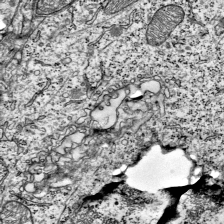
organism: Mouse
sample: Visual Cortex